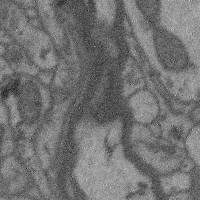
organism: Mouse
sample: Cerebral cortex